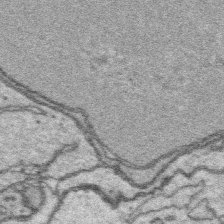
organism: Platynereis dumerilii